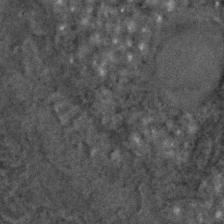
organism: C. elegans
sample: C. elegans embryo